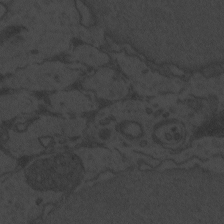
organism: Zebrafish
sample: Macrophage infected with Toxoplasma gondii